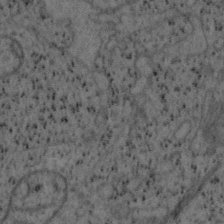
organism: Human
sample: HeLa cells